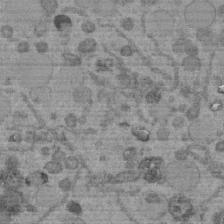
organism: C. elegans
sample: C. elegans embryo early stage